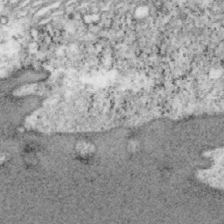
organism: Mouse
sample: OT-I killer T cells with ID8 ovarian cancer cells